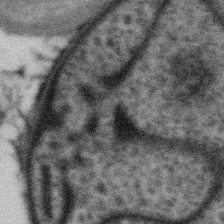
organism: Gemmata obscuriglobus